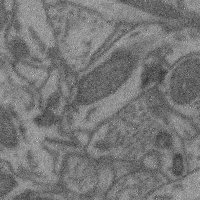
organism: Mouse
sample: Cerebral cortex